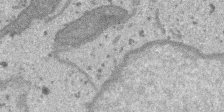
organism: Human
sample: Lung epithelial cells infected with SARS-CoV-2